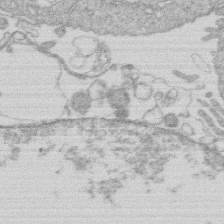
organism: Human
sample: Macrophage cells